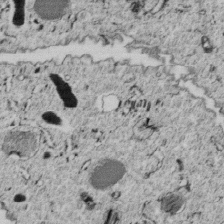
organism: C. elegans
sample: C. elegans embryo early stage